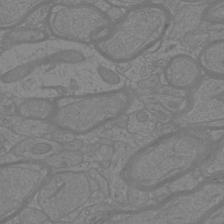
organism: Mouse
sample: Cortical neurons